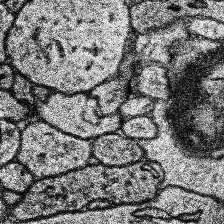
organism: Human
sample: Temporal Lobe